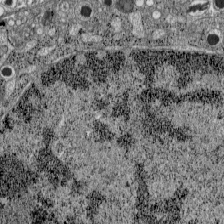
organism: C57BL Mouse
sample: Pancreatic islet